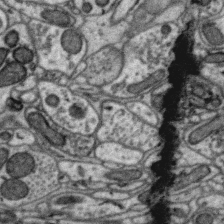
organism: Zebra finch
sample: Brain